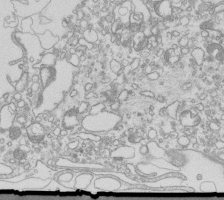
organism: Mouse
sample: Macrophages